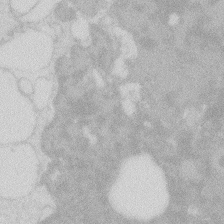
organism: Zebrafish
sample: Macrophage